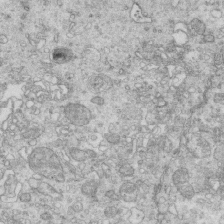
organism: Mouse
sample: Multiciliated cells